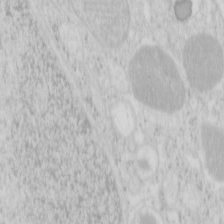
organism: Mouse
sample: Pancreas